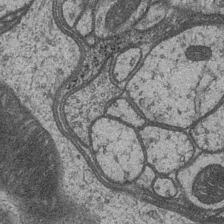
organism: Drosophila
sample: Optic medulla